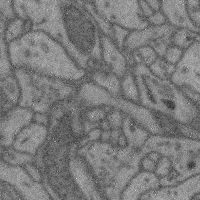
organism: Mouse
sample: Cerebral cortex